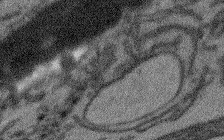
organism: Arabidopsis thaliana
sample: Root tip